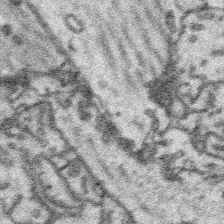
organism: Platynereis dumerilii